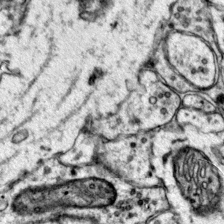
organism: Mouse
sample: Primary visual cortex